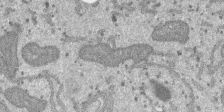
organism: Human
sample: Lung epithelial cells infected with SARS-CoV-2